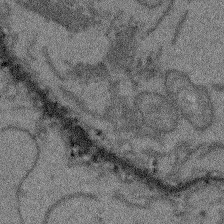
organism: Arabidopsis thaliana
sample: Root tip